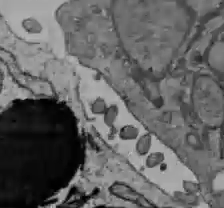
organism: C57BL Mouse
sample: Liver